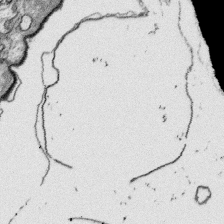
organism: Platynereis dumerilii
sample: Parapodia